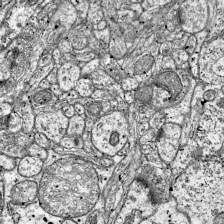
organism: Mouse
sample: Visual Cortex